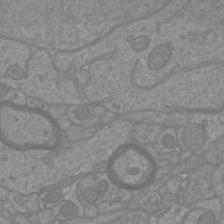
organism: Mouse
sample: Cortical neurons